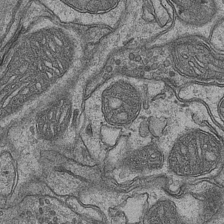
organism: Mouse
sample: CA1 Hippocampus